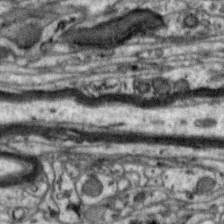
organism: Zebra finch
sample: Brain